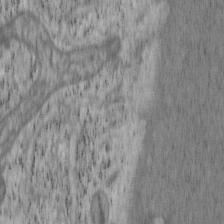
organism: Human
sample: HeLa cells